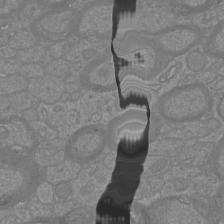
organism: Mouse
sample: Cortical neurons